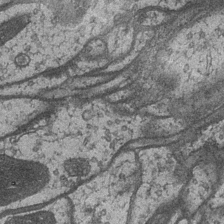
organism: Drosophila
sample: Optic medulla